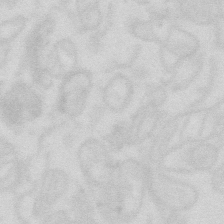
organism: Human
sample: HeLa cells